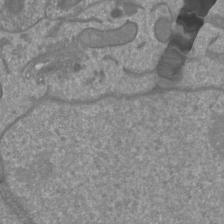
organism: Mouse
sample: Cortical neurons